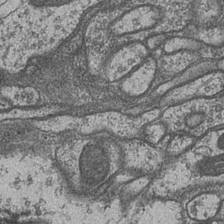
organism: Drosophila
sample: Optic medulla